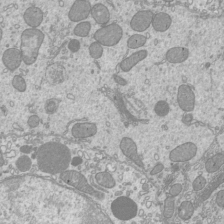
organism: Mouse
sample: Cilia; mouse epididymis